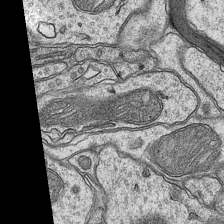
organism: Mouse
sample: CA1 Hippocampus